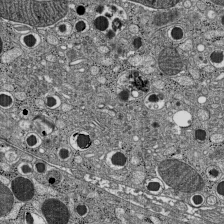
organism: C57BL Mouse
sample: Pancreatic islet